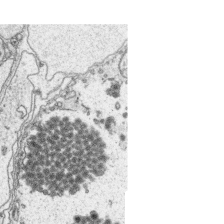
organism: Platynereis dumerilii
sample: Parapodia